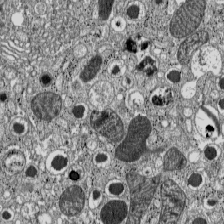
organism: C57BL Mouse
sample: Pancreatic islet